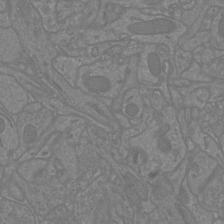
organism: Mouse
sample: Cortical neurons